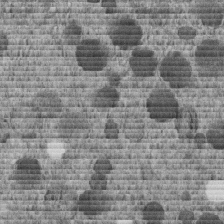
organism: C. elegans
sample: C. elegans embryo early stage